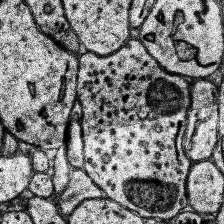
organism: Human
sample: Temporal Lobe